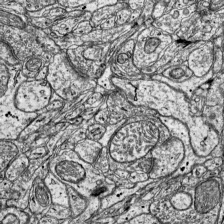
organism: Mouse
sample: Visual Cortex